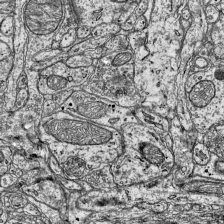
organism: Mouse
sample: Visual Cortex